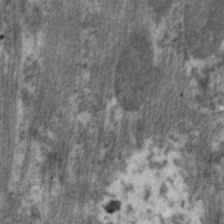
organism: C. elegans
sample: Pharynx